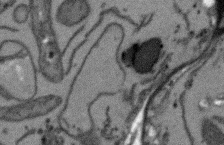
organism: Arabidopsis thaliana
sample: Root tip